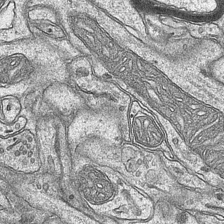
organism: Mouse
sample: CA1 Hippocampus